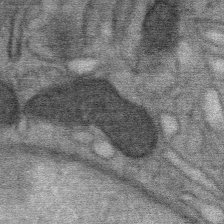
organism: Mouse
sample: Mouse Salivary gland